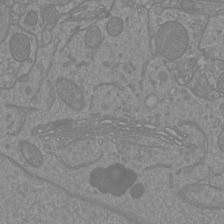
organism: Mouse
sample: Cortical neurons